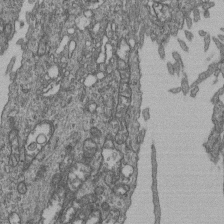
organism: Human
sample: Retinal organoid Rod and Cone cells